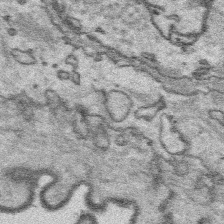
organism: Platynereis dumerilii